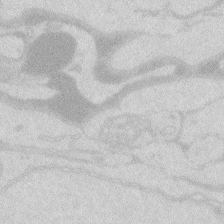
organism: Zebrafish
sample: Macrophage